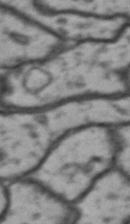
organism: Drosophila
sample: Brain